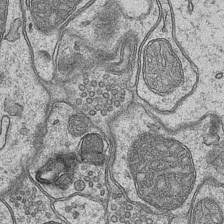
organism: Mouse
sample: CA1 Hippocampus